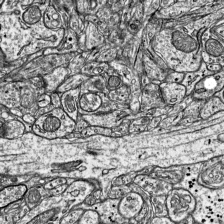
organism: Mouse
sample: Visual Cortex